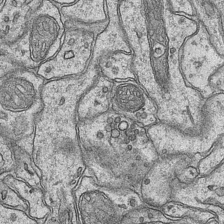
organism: Mouse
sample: CA1 Hippocampus